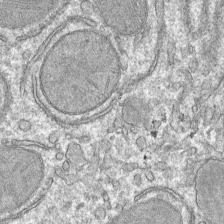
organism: Mouse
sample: Mouse hepatocytes